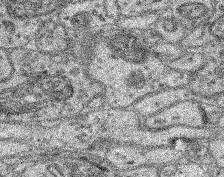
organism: Mouse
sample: Retina